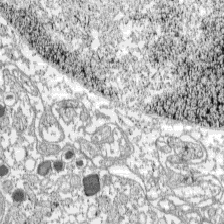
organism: C57BL Mouse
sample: Pancreatic islet